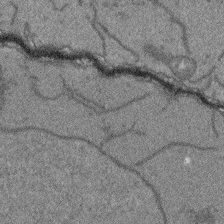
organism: Arabidopsis thaliana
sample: Root tip